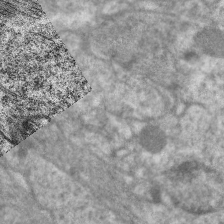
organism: C. elegans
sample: Pharynx